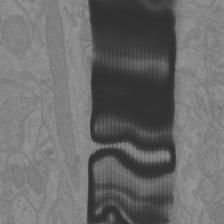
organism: Mouse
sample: Cortical neurons